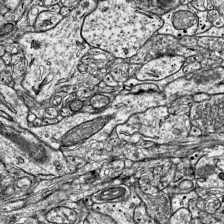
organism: Mouse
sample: Visual Cortex